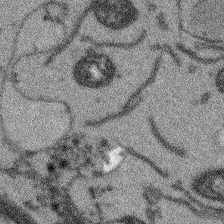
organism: Arabidopsis thaliana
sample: Root tip